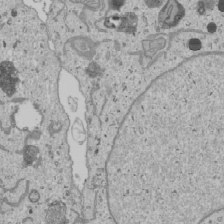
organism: Human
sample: Mitochondria in U2OS cells